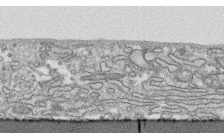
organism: Human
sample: CRL-1474